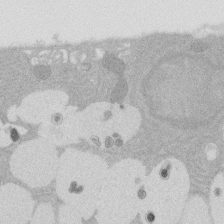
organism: Rat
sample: Salivary granule